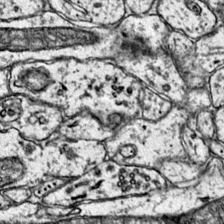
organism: Mouse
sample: Primary visual cortex